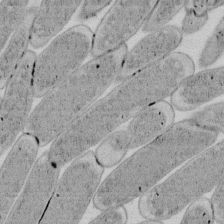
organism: E. coli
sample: Bacterial nucleoid